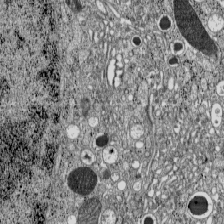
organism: C57BL Mouse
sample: Pancreatic islet